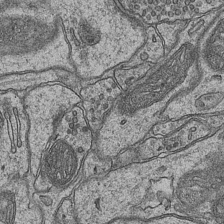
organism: Mouse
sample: CA1 Hippocampus